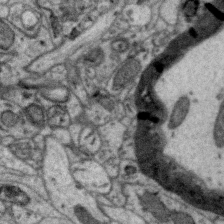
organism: Zebra finch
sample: Brain